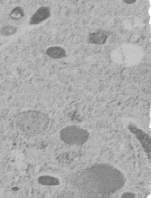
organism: C. elegans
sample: C. elegans embryo early stage